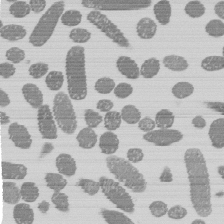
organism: E. coli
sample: Bacterial nucleoid